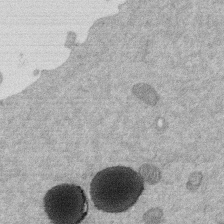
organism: Mouse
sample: Dividing mouse embryo 1 cell stage